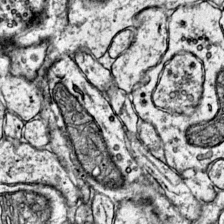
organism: Mouse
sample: Primary visual cortex